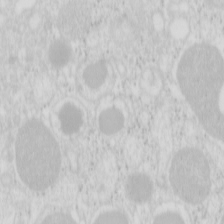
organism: Mouse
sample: Pancreas